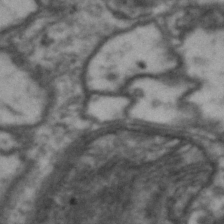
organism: Drosophila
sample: Brain